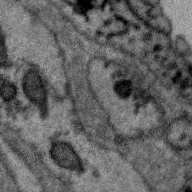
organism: Zebra finch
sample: Brain